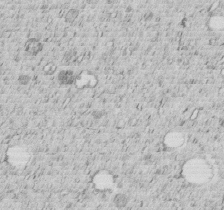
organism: C. elegans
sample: C. elegans embryo early stage